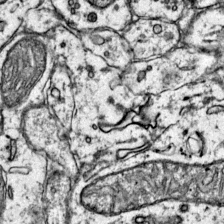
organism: Mouse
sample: Primary visual cortex